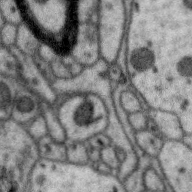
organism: Zebra finch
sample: Brain